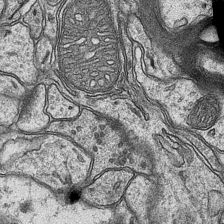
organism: Mouse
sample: CA1 Hippocampus